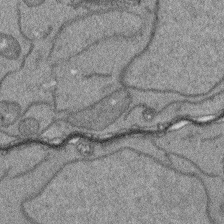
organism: Arabidopsis thaliana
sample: Root tip